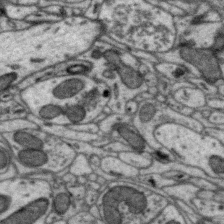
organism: Zebra finch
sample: Brain